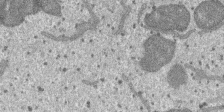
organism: Human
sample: Lung epithelial cells infected with SARS-CoV-2